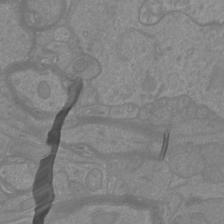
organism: Mouse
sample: Cortical neurons